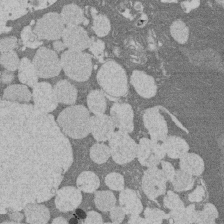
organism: Rat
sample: Salivary granule